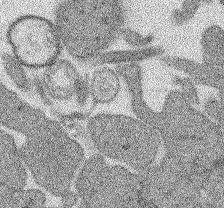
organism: Human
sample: HeLa cells